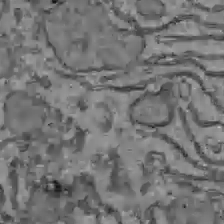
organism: C57BL Mouse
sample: Liver